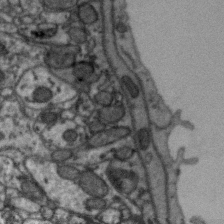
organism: Zebra finch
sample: Brain